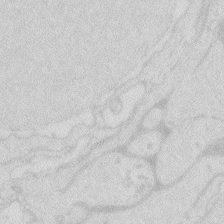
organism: Zebrafish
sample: Macrophage